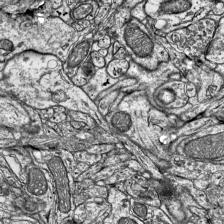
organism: Mouse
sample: Visual Cortex